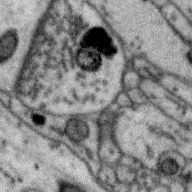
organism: Zebra finch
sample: Brain